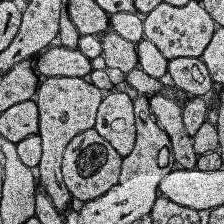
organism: Human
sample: Temporal Lobe